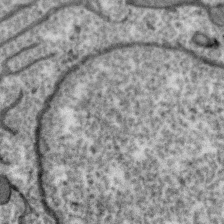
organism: Zebra finch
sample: Brain